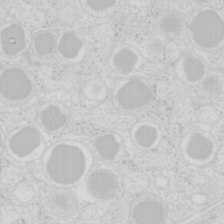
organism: Mouse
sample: Pancreas